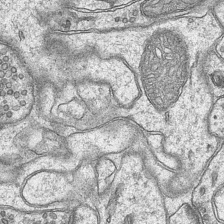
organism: Mouse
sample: CA1 Hippocampus